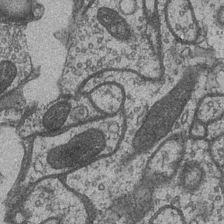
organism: Drosophila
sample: Optic medulla